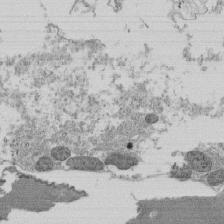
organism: Tetrahymena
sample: Cilia in tetrahymena